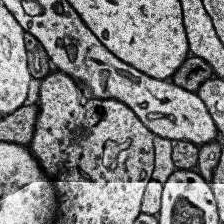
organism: Human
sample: Temporal Lobe